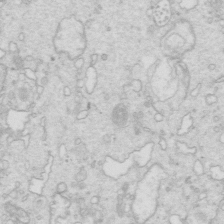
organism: Mouse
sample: Multiciliated cells